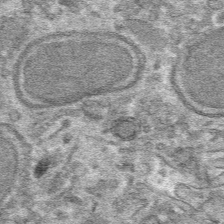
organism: Mouse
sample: Mouse hepatocytes